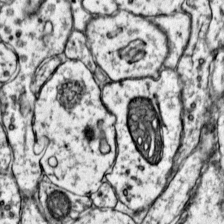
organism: Mouse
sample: Primary visual cortex